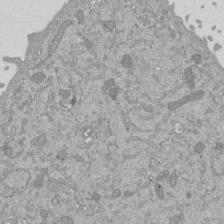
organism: Mouse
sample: ED-1 cell nuclei; centrioles